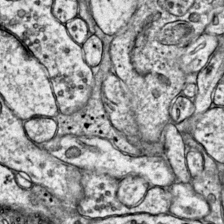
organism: Mouse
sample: Primary visual cortex